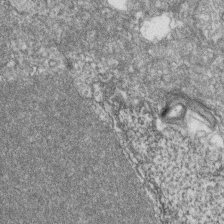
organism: Zebrafish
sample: Cilia; retinal pigment epithelium